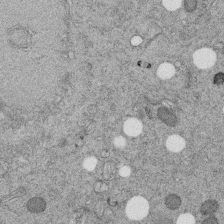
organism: C. elegans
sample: C. elegans embryo early stage